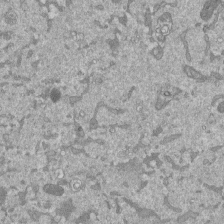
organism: Mouse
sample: ED-1 cell nuclei; centrioles